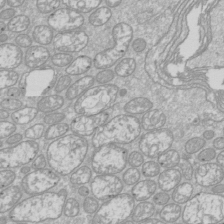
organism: Drosophila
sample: Cell division; meiosis; drosophila spermatocytes